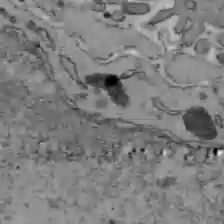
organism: C57BL Mouse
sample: Liver